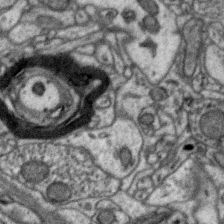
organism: Zebra finch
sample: Brain